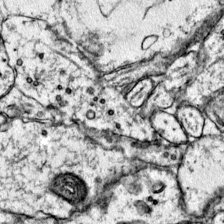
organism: Mouse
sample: Primary visual cortex